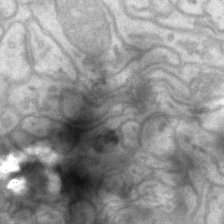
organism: Mouse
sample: CA1 Hippocampus